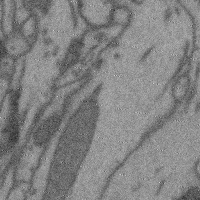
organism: Mouse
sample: Cerebral cortex